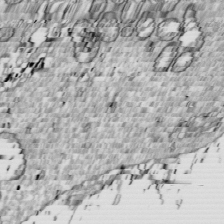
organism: Drosophila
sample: Cell division; meiosis; drosophila spermatocytes